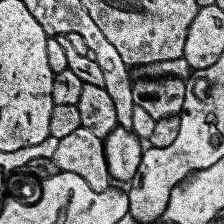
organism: Human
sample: Temporal Lobe